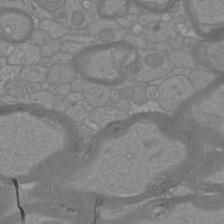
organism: Mouse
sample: Cortical neurons